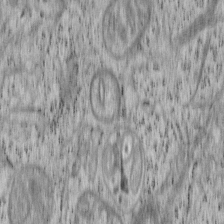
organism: Human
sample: HeLa cells